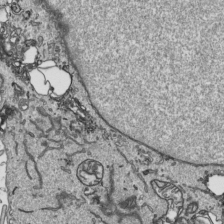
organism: Human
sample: Mitochondria in HCT116 cells